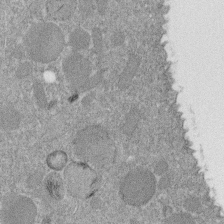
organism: C. elegans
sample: C. elegans embryo early stage